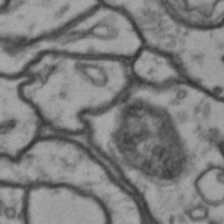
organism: Drosophila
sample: Brain